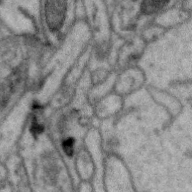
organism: Zebra finch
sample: Brain